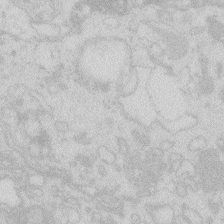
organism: Zebrafish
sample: Macrophage